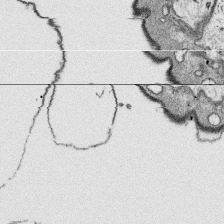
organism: Platynereis dumerilii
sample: Parapodia